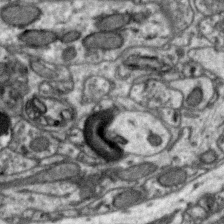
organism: Zebra finch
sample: Brain